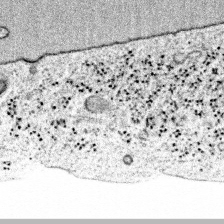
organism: Human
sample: HeLa cells